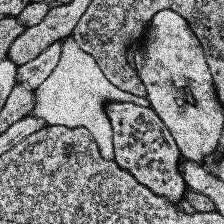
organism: Human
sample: Temporal Lobe